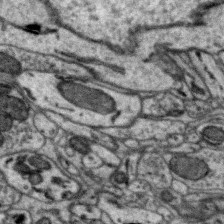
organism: Zebra finch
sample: Brain